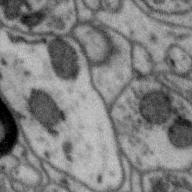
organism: Zebra finch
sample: Brain